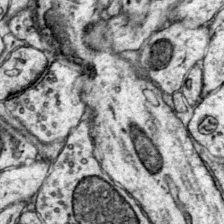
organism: Mouse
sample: Primary visual cortex